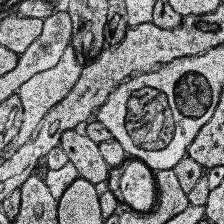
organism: Human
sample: Temporal Lobe